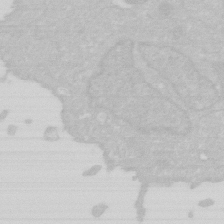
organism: Human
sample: HIV infected U937 cells